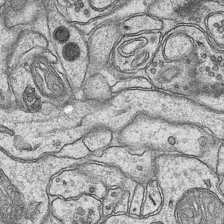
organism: Mouse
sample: CA1 Hippocampus